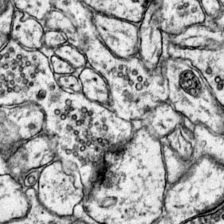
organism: Mouse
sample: Primary visual cortex